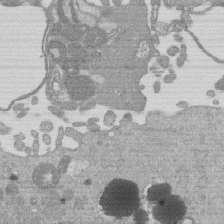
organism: Mouse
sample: Dividing mouse embryo 1 cell stage